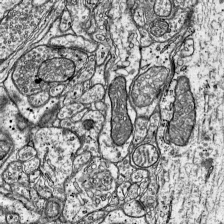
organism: Mouse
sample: Visual Cortex